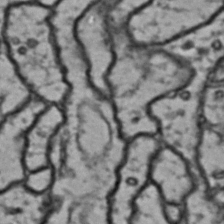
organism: Drosophila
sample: Brain